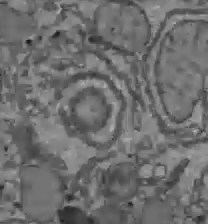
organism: C57BL Mouse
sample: Liver